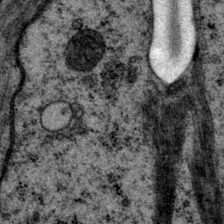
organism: P. pacificus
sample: Pharynx